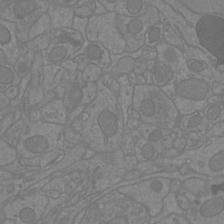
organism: Mouse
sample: Cortical neurons